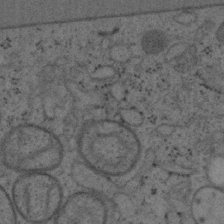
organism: Human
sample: HeLa cells